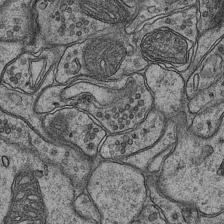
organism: Mouse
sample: CA1 Hippocampus